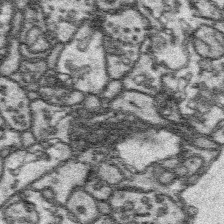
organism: Platynereis dumerilii